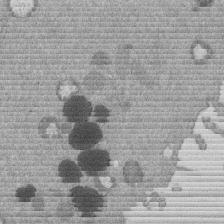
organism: Mouse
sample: Dividing mouse embryo 1 cell stage